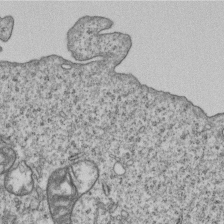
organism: Human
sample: MDA-MB-231 cells